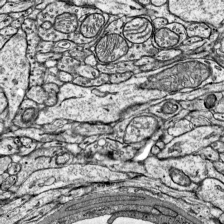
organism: Mouse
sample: Visual Cortex